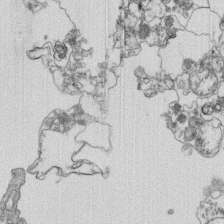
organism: Human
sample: HeLa cell HIV synapse